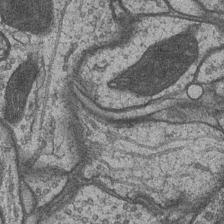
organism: Drosophila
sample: Optic medulla